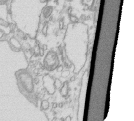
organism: Mouse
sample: Macrophages